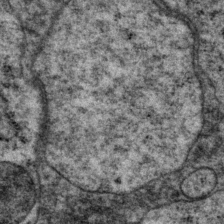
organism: P. pacificus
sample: Pharynx